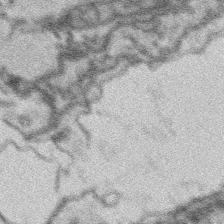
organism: Platynereis dumerilii